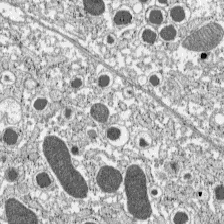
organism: C57BL Mouse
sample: Pancreatic islet